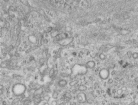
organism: Human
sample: Centriole in RPE cells